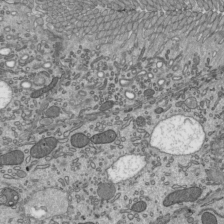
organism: Mouse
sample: Mouse epididymis efferent ductule cilia